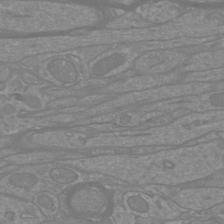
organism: Mouse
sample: Cortical neurons